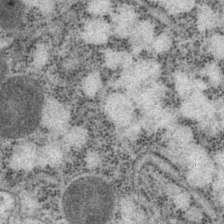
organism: P. pacificus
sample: Pharynx